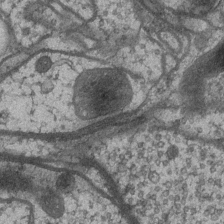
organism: Drosophila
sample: Optic medulla